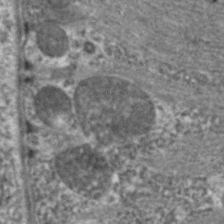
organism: C. elegans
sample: Pharynx